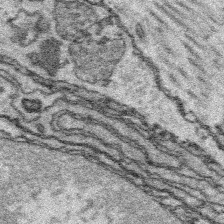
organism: Platynereis dumerilii